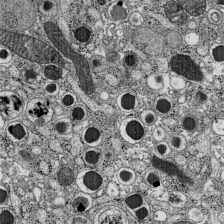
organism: C57BL Mouse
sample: Pancreatic islet